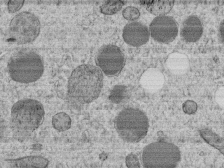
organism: C. elegans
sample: C. elegans embryo early stage